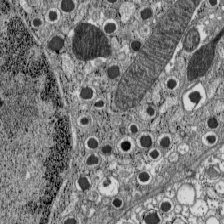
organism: C57BL Mouse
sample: Pancreatic islet